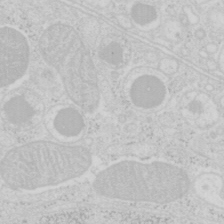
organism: Mouse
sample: Pancreas